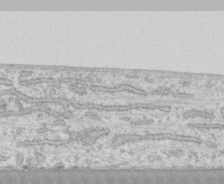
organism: Human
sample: CRL-1474